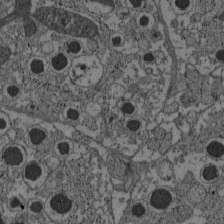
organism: C57BL Mouse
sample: Pancreatic islet